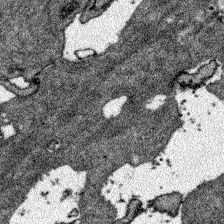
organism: Zebrafish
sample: Larval olfactory bulb